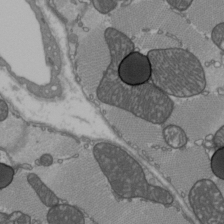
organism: C57BL Mouse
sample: Heart